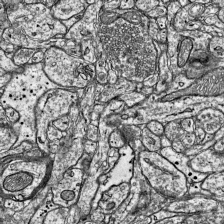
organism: Mouse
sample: Visual Cortex